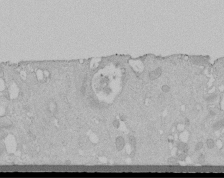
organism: Human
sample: Melanocyte Keratinocyte synapse skin construct